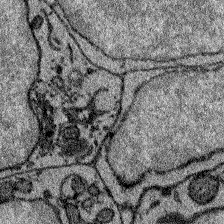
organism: Zebrafish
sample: Larval olfactory bulb